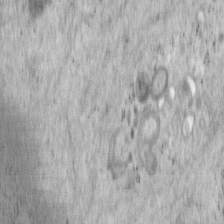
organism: Human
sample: HeLa cells